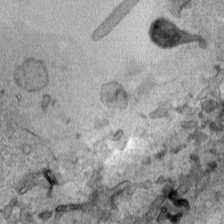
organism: Human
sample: Mitochondria in HCT116 cells